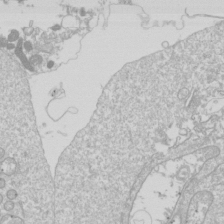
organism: Drosophila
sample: Cell division; meiosis; drosophila spermatocytes